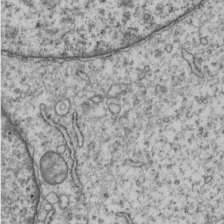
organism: Human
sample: MDA-MB-231 cells